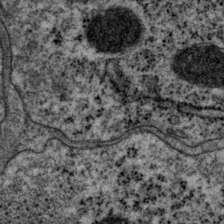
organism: P. pacificus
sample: Pharynx